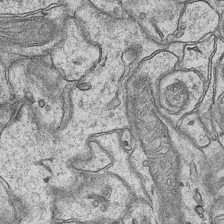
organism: Mouse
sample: CA1 Hippocampus